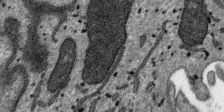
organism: Human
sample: Lung epithelial cells, uninfected (mock) control